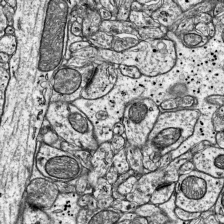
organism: Mouse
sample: Visual Cortex